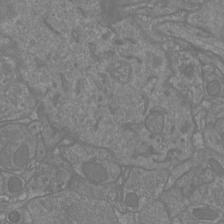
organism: Mouse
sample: Cortical neurons